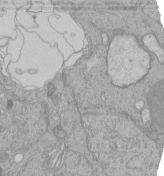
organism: Human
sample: Retinal organoid Rod and Cone cells